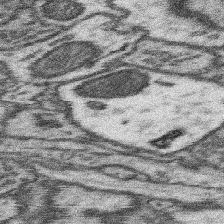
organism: Mouse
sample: Somatosensory cortex neuropil